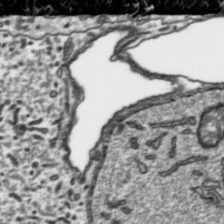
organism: Toxoplasma gondii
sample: Parasites in a vacuole inside a host cell